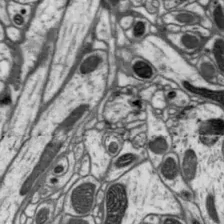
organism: Drosophila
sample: Protocerebral bridge